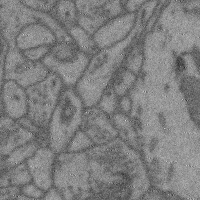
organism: Mouse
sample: Cerebral cortex